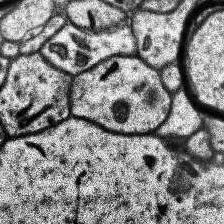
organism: Human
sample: Temporal Lobe